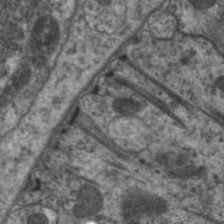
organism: C. elegans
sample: Pharynx